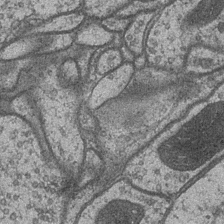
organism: Drosophila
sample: Optic medulla